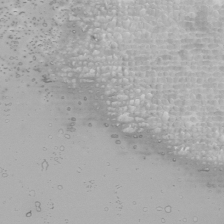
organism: Human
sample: Mitochondria in U2OS cells